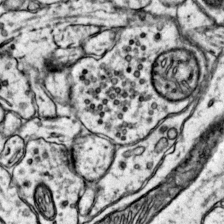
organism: Mouse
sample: Primary visual cortex